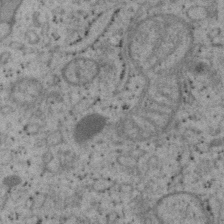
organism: Human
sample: HeLa cells